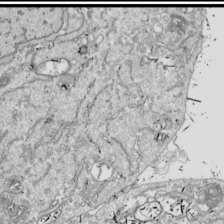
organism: Drosophila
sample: Cell division; meiosis; drosophila spermatocytes